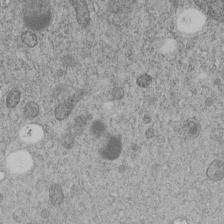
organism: C. elegans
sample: C. elegans embryo early stage